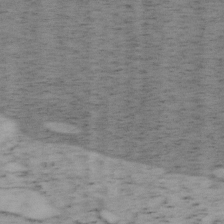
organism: Mouse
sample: OT-I killer T cells with ID8 ovarian cancer cells